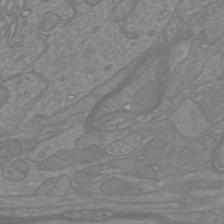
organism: Mouse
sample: Cortical neurons